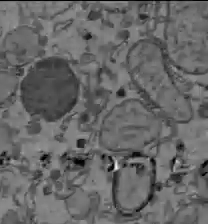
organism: C57BL Mouse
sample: Liver